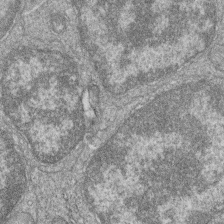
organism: Zebrafish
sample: Cilia; retinal pigment epithelium